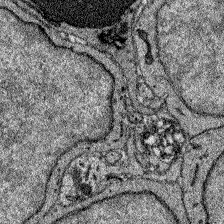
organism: Zebrafish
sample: Larval olfactory bulb